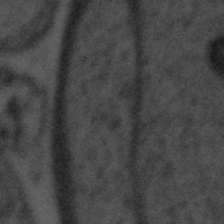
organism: Tuwongella immobilis